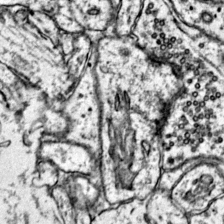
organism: Mouse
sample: Primary visual cortex